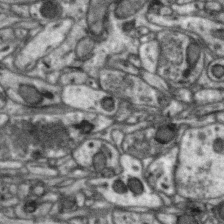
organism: Zebra finch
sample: Brain